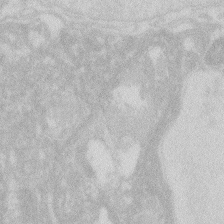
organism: Zebrafish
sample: Macrophage